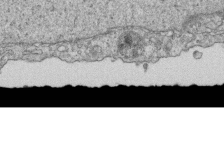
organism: Human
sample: HeLa cell HIV synapse